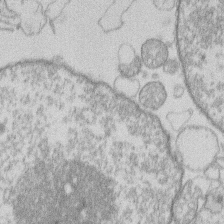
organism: Human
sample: Macrophage cells